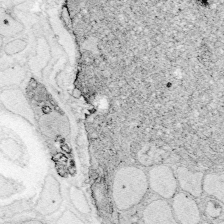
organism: Zebrafish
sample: Whole-Brain